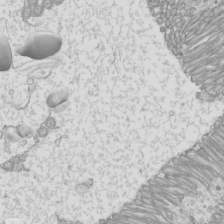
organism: Mouse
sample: Cilia; mouse epididymis